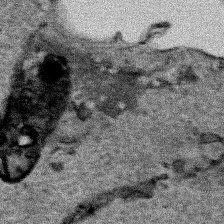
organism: Human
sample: Mitochondria in HCT116 cells